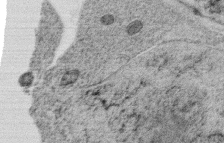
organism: C. elegans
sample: C. elegans oocyte; sperm cells